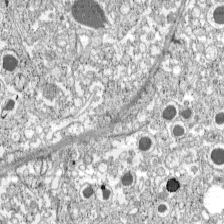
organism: C57BL Mouse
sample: Pancreatic islet